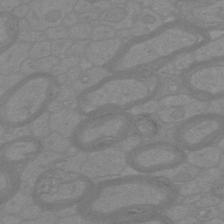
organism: Mouse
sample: Cortical neurons